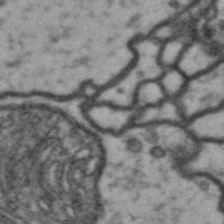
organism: Drosophila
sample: Brain